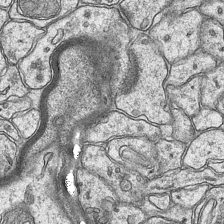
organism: Mouse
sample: CA1 Hippocampus